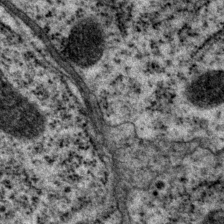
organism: P. pacificus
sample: Pharynx